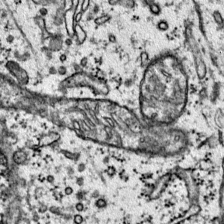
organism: Mouse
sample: Primary visual cortex